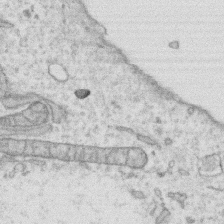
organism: Human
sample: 1205lu cells